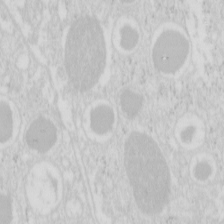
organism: Mouse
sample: Pancreas